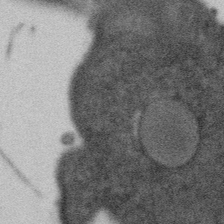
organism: Gemmata obscuriglobus